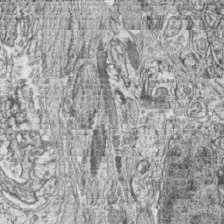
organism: Zebrafish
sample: synaptic ribbons in rod cells and cone cells